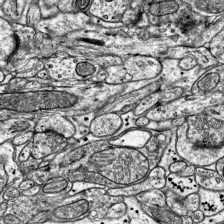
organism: Mouse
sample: Visual Cortex